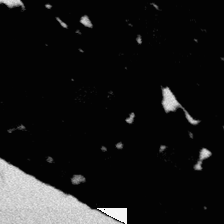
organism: Platynereis dumerilii